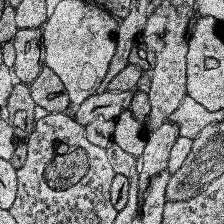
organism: Human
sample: Temporal Lobe